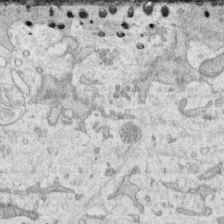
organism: Human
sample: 1205lu cells